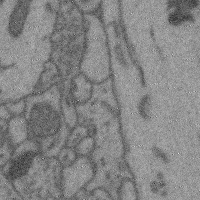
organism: Mouse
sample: Cerebral cortex